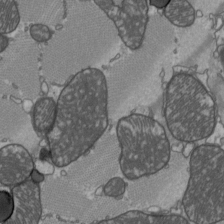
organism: C57BL Mouse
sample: Heart